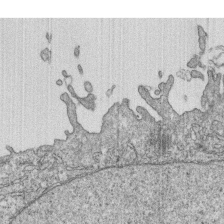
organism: Human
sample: HeLa cell HIV synapse